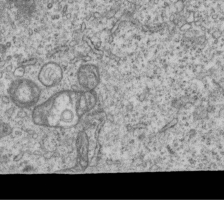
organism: Human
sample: MDA-MB-231 cells